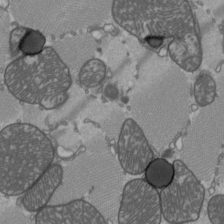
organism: C57BL Mouse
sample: Heart